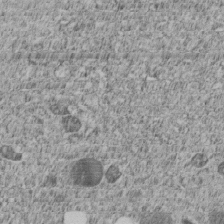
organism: C. elegans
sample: C. elegans embryo early stage